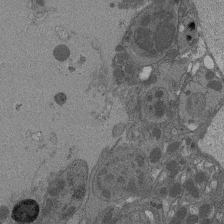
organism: Drosophila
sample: Antenna